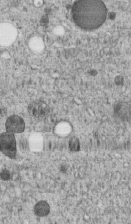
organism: C. elegans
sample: C. elegans embryo early stage